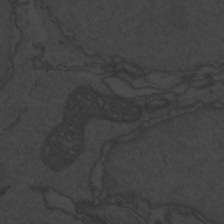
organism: Zebrafish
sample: Macrophage infected with Toxoplasma gondii